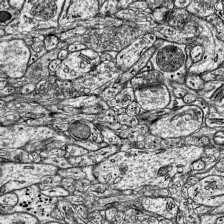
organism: Mouse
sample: Visual Cortex